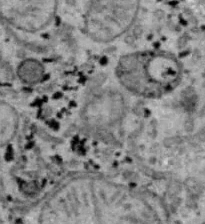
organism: Mouse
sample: Liver from an obese (ob/ob) mouse